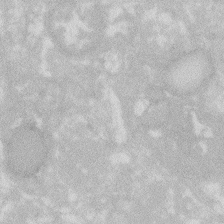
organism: Zebrafish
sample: Macrophage